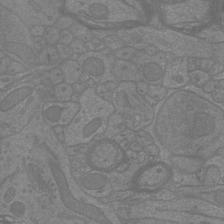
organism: Mouse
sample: Cortical neurons